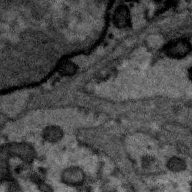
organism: Zebra finch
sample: Brain